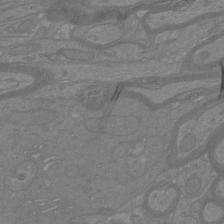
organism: Mouse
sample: Cortical neurons